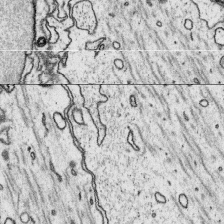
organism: Platynereis dumerilii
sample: Parapodia